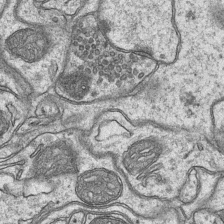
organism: Mouse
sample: CA1 Hippocampus